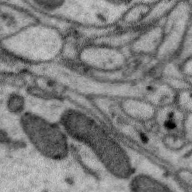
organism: Zebra finch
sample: Brain